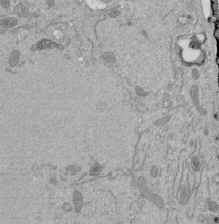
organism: Mouse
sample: ED-1 cell nuclei; centrioles